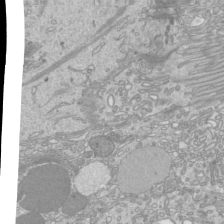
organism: Mouse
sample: Cilia; mouse epididymis